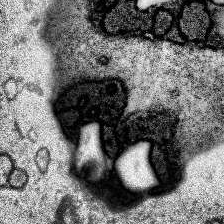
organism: Human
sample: Temporal Lobe